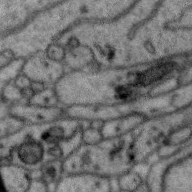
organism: Zebra finch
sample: Brain